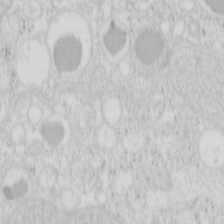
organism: Mouse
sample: Pancreas